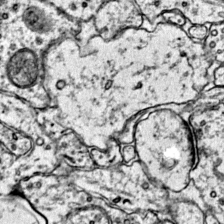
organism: Mouse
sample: Primary visual cortex